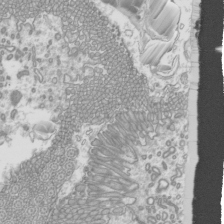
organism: Mouse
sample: Cilia; mouse epididymis